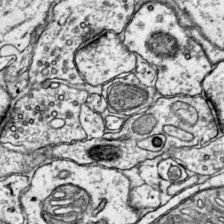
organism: Mouse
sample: Primary visual cortex